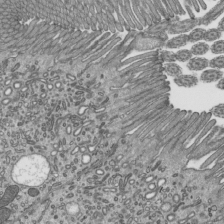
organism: Mouse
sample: Mouse epididymis efferent ductule cilia